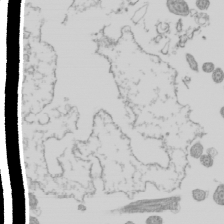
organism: Mouse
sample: Cilia; mouse epididymis